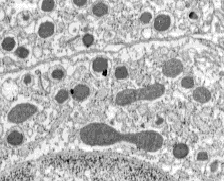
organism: C57BL Mouse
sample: Pancreatic islet